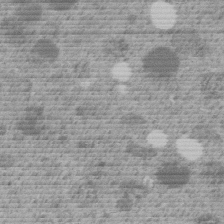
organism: C. elegans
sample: C. elegans embryo early stage